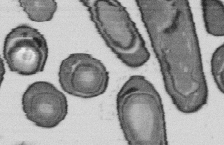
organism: B. subtilis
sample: Bacterial spore